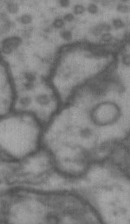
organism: Drosophila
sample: Brain